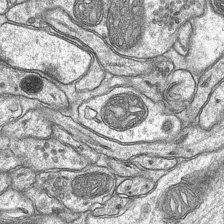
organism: Mouse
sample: CA1 Hippocampus